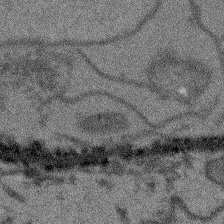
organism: Arabidopsis thaliana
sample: Root tip